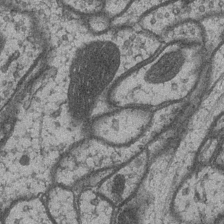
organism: Drosophila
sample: Optic medulla